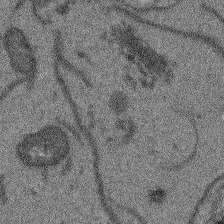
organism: Arabidopsis thaliana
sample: Root tip